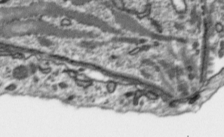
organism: Toxoplasma gondii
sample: Parasites in a vacuole inside a host cell